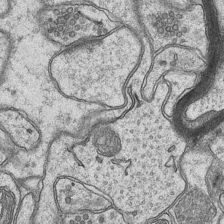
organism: Mouse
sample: CA1 Hippocampus